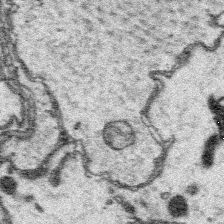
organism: Platynereis dumerilii